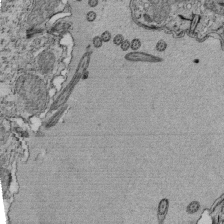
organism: Tetrahymena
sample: Cilia in tetrahymena